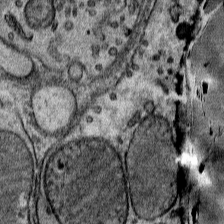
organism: Mouse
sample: Mouse Salivary gland